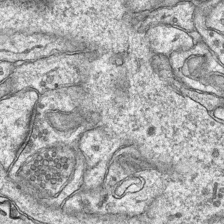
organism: Mouse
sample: CA1 Hippocampus